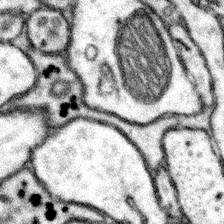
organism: Mouse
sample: Somatosensory cortex neuropil